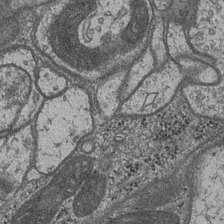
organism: Drosophila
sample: Optic medulla